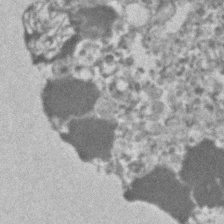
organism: Human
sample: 1205lu cells